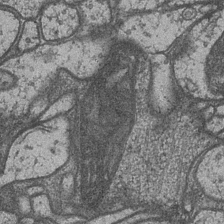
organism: Drosophila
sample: Optic medulla